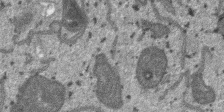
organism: Human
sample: Lung epithelial cells infected with SARS-CoV-2